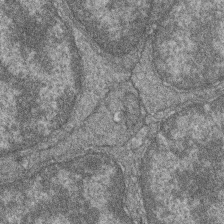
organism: Zebrafish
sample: Cilia; retinal pigment epithelium